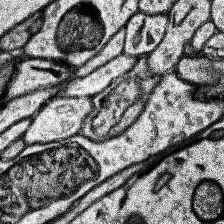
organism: Human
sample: Temporal Lobe